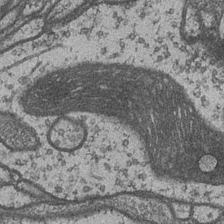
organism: Drosophila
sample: Optic medulla